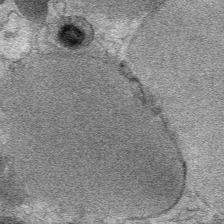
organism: Mouse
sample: Mouse Salivary gland